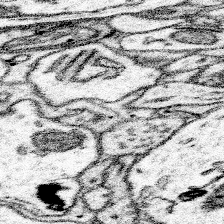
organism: Mouse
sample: Somatosensory cortex neuropil